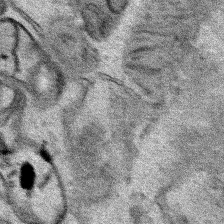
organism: Human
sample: Mitochondria in HCT116 cells